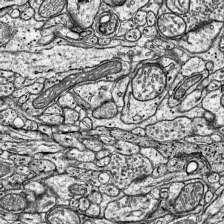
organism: Mouse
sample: Visual Cortex